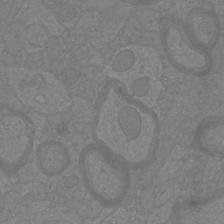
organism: Mouse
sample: Cortical neurons